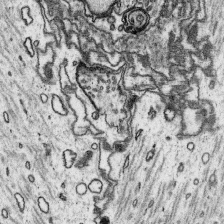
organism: Platynereis dumerilii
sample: Parapodia